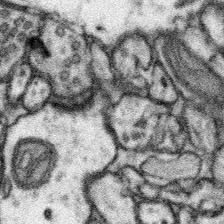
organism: Mouse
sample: Somatosensory cortex neuropil